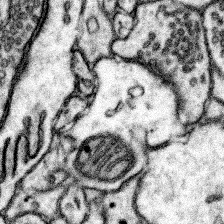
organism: Mouse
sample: Somatosensory cortex neuropil